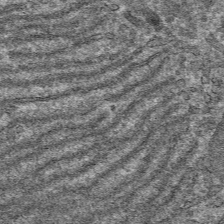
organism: Mouse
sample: Mouse hepatocytes